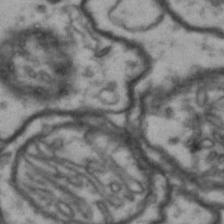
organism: Drosophila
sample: Brain